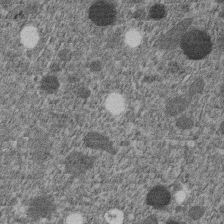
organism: C. elegans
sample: C. elegans embryo early stage